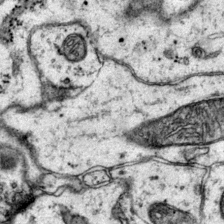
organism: Mouse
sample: Primary visual cortex